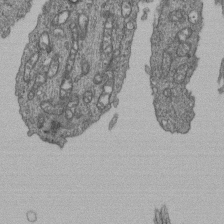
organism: Human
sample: Retinal organoid Rod and Cone cells